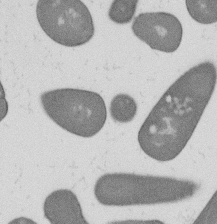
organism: B. subtilis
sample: Bacterial spore